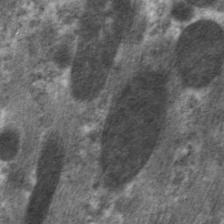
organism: C. elegans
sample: Pharynx